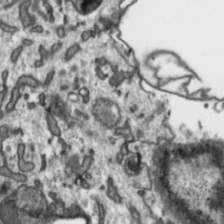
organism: Toxoplasma gondii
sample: Parasites in a vacuole inside a host cell